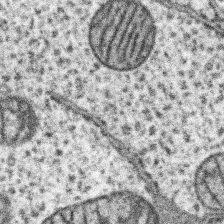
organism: Human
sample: HeLa cells